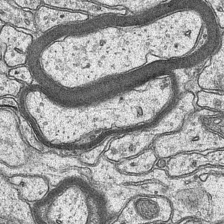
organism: Mouse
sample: CA1 Hippocampus